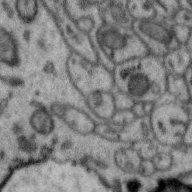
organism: Zebra finch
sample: Brain